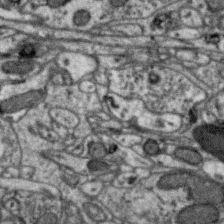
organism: Zebra finch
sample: Brain